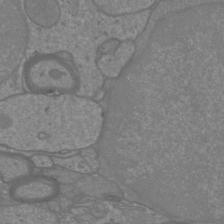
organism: Mouse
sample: Cortical neurons